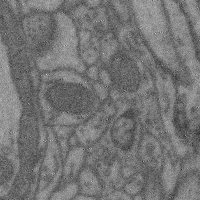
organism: Mouse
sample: Cerebral cortex